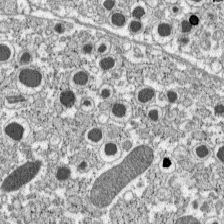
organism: C57BL Mouse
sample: Pancreatic islet